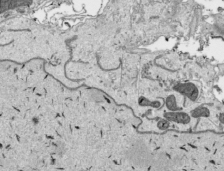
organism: Human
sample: Mitochondria in HCT116 cells